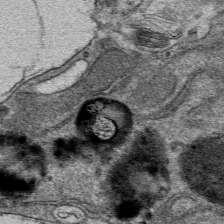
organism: Mouse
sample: Mouse hepatocytes